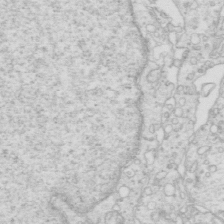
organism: Mouse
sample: Multiciliated cells